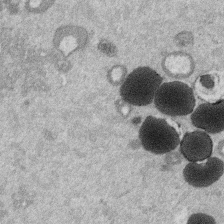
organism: Mouse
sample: Dividing mouse embryo 1 cell stage